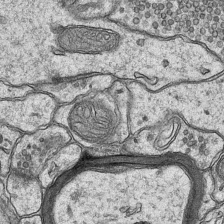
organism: Mouse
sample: CA1 Hippocampus